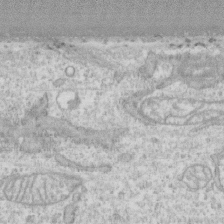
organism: Human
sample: CRL-1474